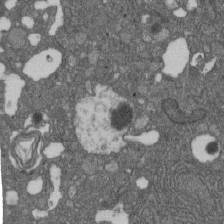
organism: Drosophila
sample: Nephrocyte